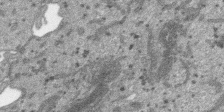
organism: Human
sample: Lung epithelial cells infected with SARS-CoV-2